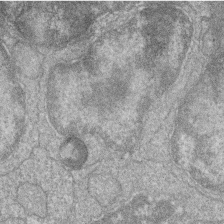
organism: Zebrafish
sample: Cilia; retinal pigment epithelium